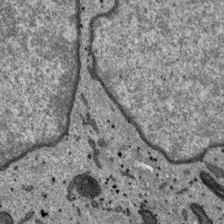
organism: Human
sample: Lung epithelial cells, uninfected (mock) control